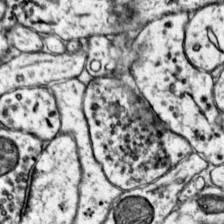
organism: Mouse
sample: Primary visual cortex